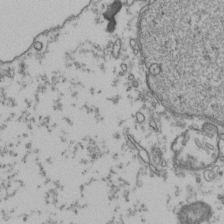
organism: Human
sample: Activated Jurkat CD4+ T cells